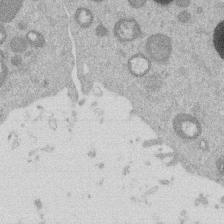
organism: Mouse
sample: Dividing mouse embryo 1 cell stage